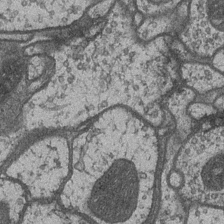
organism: Drosophila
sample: Optic medulla